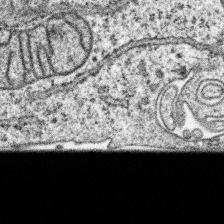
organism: Human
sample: HeLa cells